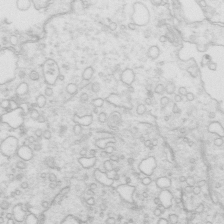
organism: Mouse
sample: Multiciliated cells